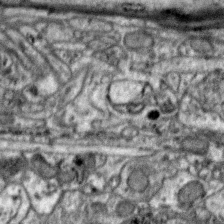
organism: Zebra finch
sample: Brain